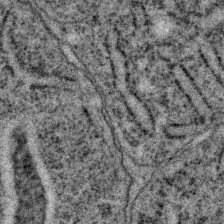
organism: C. elegans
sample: C. elegans embryo